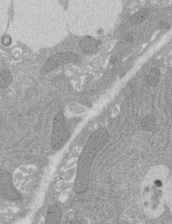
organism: Rat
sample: Salivary granule